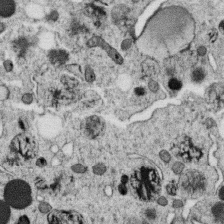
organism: C. elegans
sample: C. elegans oocyte; sperm cells